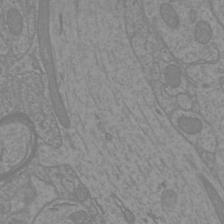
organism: Mouse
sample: Cortical neurons